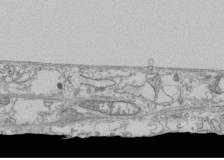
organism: Human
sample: Fibroblast cells